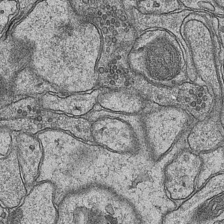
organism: Mouse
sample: CA1 Hippocampus